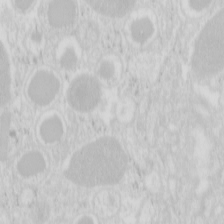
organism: Mouse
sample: Pancreas